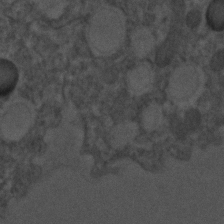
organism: C. elegans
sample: C. elegans embryo